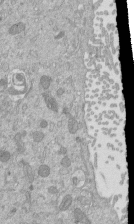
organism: Mouse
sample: ED-1 cell nuclei; centrioles